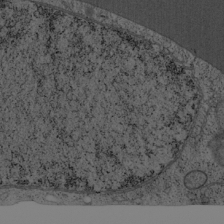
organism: African green monkey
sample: COS-7 cells